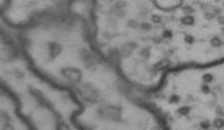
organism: Drosophila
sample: Brain